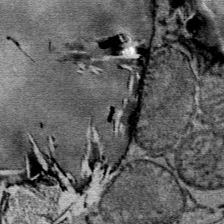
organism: Mouse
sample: Mouse Salivary gland